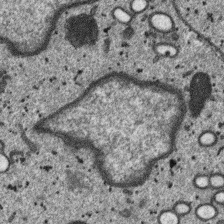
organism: Human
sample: Lung epithelial cells infected with SARS-CoV-2